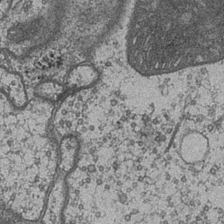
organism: Drosophila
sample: Optic medulla